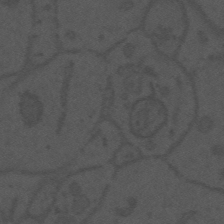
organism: Mouse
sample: Suprachiasmatic nucleus